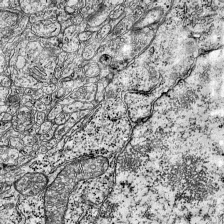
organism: Mouse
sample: Visual Cortex